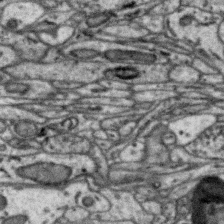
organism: Zebra finch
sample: Brain